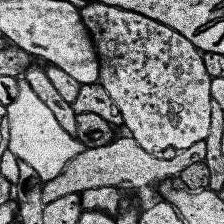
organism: Human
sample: Temporal Lobe